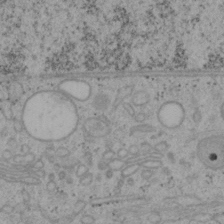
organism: Human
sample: HeLa cells